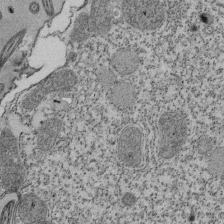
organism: Tetrahymena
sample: Cilia in tetrahymena